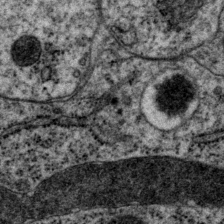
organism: P. pacificus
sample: Pharynx